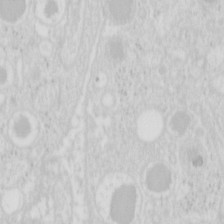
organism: Mouse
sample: Pancreas